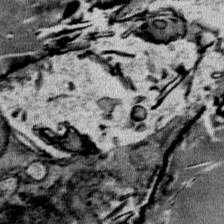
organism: Mouse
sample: Mouse Salivary gland